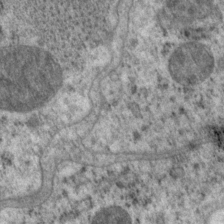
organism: P. pacificus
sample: Pharynx